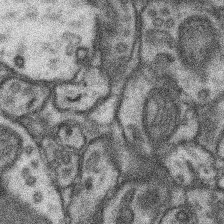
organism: Mouse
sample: Somatosensory cortex neuropil